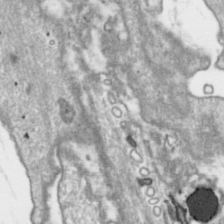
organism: Toxoplasma gondii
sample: Parasites in a vacuole inside a host cell